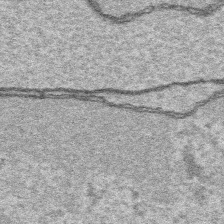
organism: Platynereis dumerilii